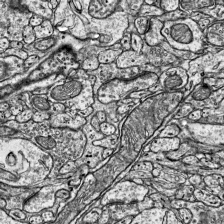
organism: Mouse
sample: Visual Cortex